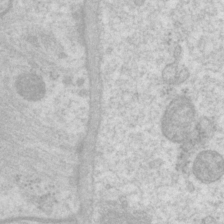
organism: P. pacificus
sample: Pharynx